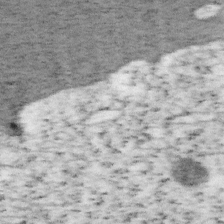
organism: Mouse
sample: OT-I killer T cells with ID8 ovarian cancer cells